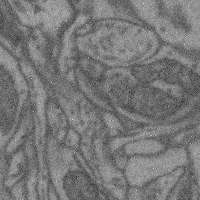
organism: Mouse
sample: Cerebral cortex